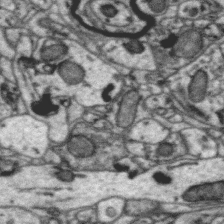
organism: Zebra finch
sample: Brain